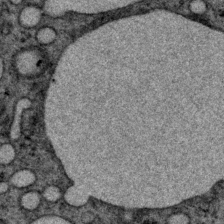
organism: P. pacificus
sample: Pharynx